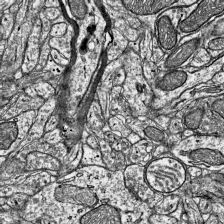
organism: Mouse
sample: Visual Cortex